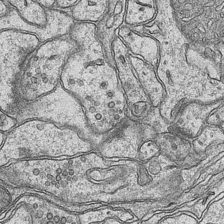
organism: Mouse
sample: CA1 Hippocampus